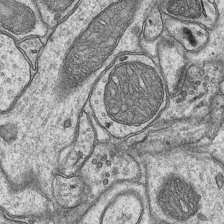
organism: Mouse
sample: CA1 Hippocampus